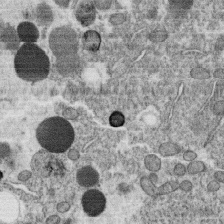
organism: C. elegans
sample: C. elegans oocyte; sperm cells